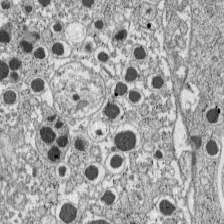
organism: C57BL Mouse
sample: Pancreatic islet